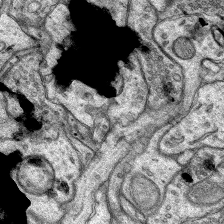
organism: Rat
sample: Hippocampus